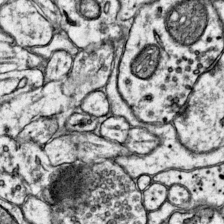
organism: Mouse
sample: Primary visual cortex